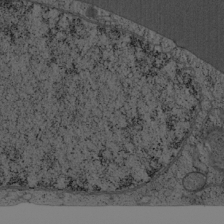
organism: African green monkey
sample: COS-7 cells